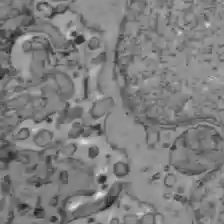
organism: C57BL Mouse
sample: Liver